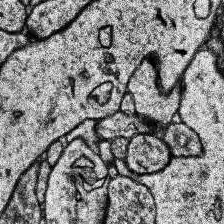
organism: Human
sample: Temporal Lobe